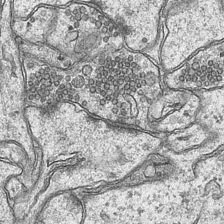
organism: Mouse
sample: CA1 Hippocampus